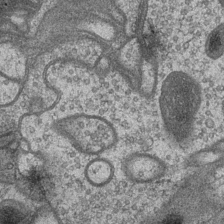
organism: Drosophila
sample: Optic medulla